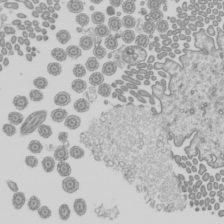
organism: Mouse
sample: Cilia; mouse epididymis